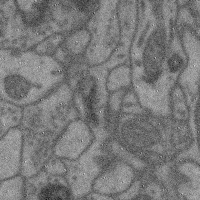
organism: Mouse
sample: Cerebral cortex